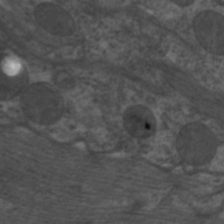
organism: C. elegans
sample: Pharynx